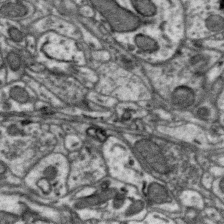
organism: Zebra finch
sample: Brain